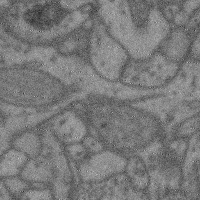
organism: Mouse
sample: Cerebral cortex